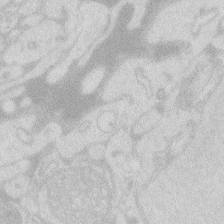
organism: Zebrafish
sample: Macrophage